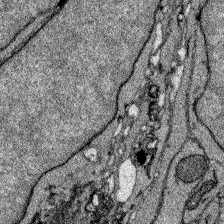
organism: Zebrafish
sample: Larval olfactory bulb